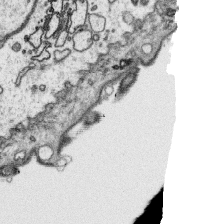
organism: Platynereis dumerilii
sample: Parapodia